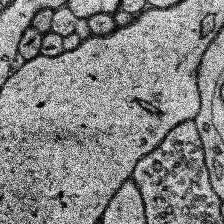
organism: Human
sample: Temporal Lobe